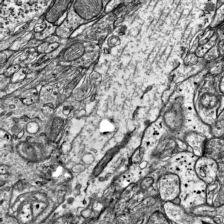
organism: Mouse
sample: Visual Cortex